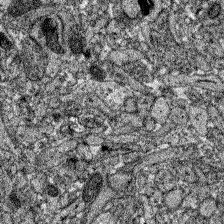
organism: Zebrafish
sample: Larval olfactory bulb